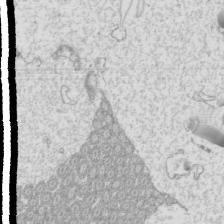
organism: Mouse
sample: Cilia; mouse epididymis